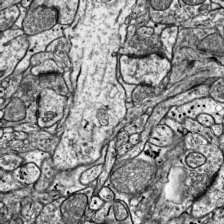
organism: Mouse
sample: Visual Cortex